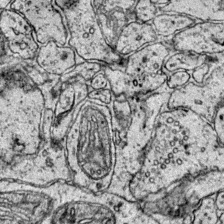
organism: Mouse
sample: Primary visual cortex